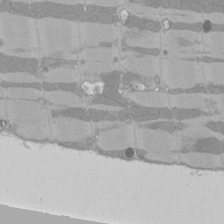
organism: Rat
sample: Left ventricle